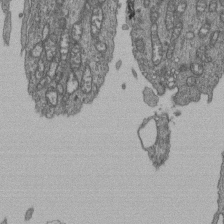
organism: Human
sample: Retinal organoid Rod and Cone cells